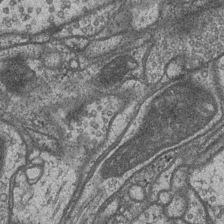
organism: Drosophila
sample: Optic medulla